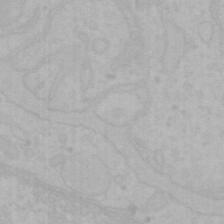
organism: Mouse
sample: Choroid plexus